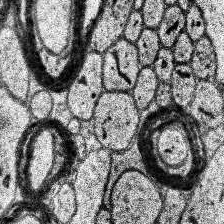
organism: Human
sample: Temporal Lobe